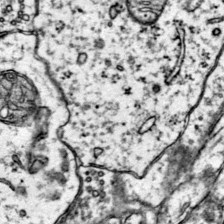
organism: Mouse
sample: Primary visual cortex